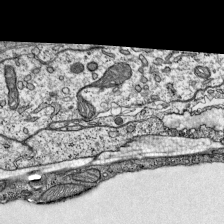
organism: Mouse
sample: Visual Cortex